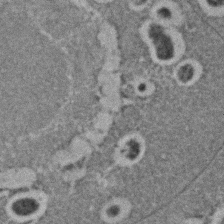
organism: C. elegans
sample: C. elegans embryo